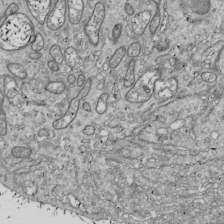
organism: Drosophila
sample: Cell division; meiosis; drosophila spermatocytes